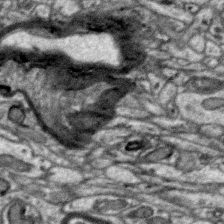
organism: Zebra finch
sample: Brain